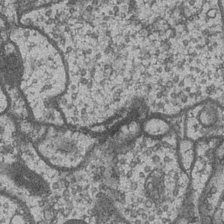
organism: Drosophila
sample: Optic medulla